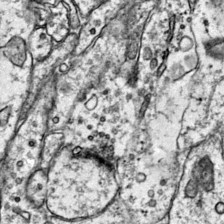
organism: Mouse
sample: Primary visual cortex